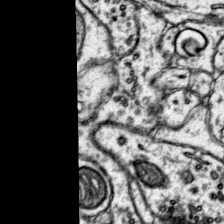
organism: Mouse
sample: Primary visual cortex